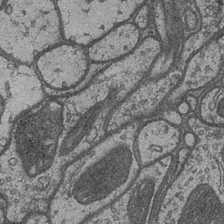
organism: Drosophila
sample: Optic medulla